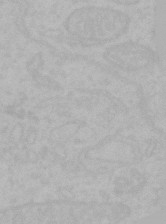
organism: Mouse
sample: Choroid plexus